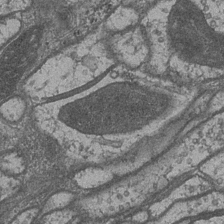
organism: Drosophila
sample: Optic medulla